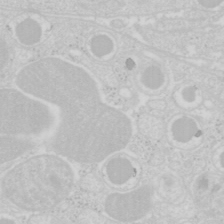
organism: Mouse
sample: Pancreas